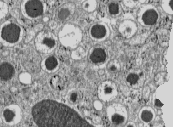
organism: C57BL Mouse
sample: Pancreatic islet